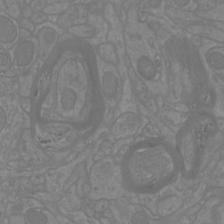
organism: Mouse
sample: Cortical neurons